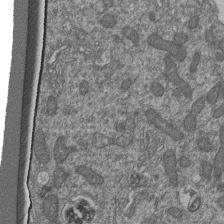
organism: Human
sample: Retinal organoid Rod and Cone cells